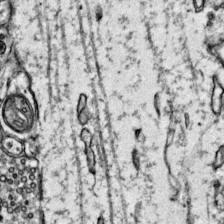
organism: Mouse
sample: Primary visual cortex